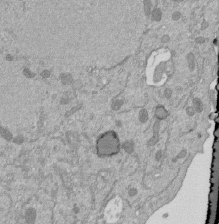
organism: Mouse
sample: ED-1 cell nuclei; centrioles